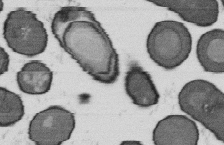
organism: B. subtilis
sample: Bacterial spore